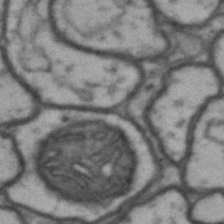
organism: Drosophila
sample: Brain